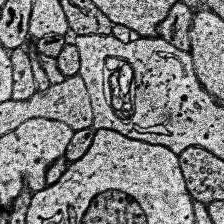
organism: Human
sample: Temporal Lobe